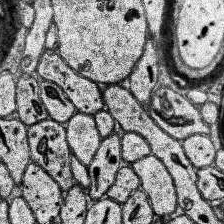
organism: Human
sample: Temporal Lobe